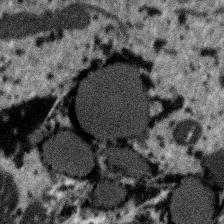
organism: Human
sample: Lung epithelial cells infected with SARS-CoV-2